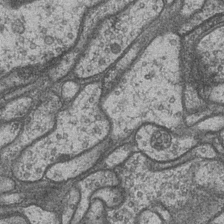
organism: Drosophila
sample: Optic medulla